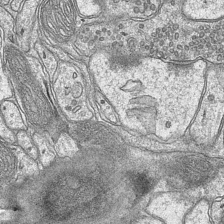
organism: Mouse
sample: CA1 Hippocampus